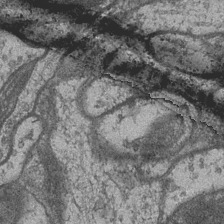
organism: Drosophila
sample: Optic medulla